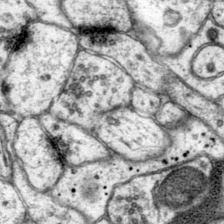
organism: Mouse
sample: Primary visual cortex